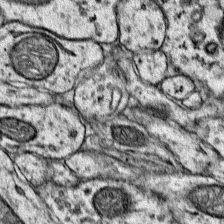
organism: Mouse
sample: Primary visual cortex